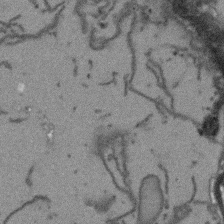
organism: Arabidopsis thaliana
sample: Root tip